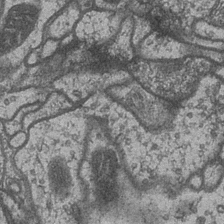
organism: Drosophila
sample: Optic medulla